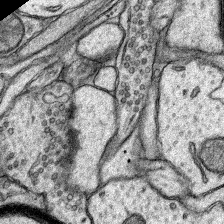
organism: Rat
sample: Hippocampus